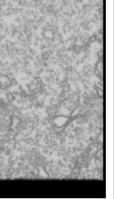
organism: Drosophila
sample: Cell division; meiosis; drosophila spermatocytes